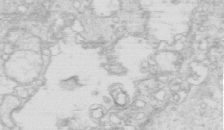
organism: Mouse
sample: Multiciliated cells